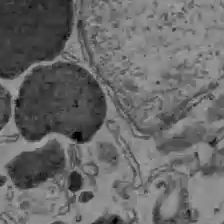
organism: C57BL Mouse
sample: Liver